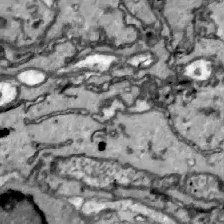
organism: Zebrafish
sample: Actinotrichia fibers